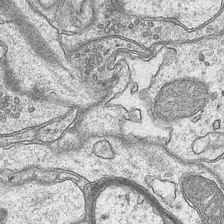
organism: Mouse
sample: CA1 Hippocampus